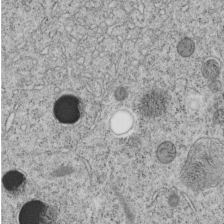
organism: C. elegans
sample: C. elegans embryo early stage